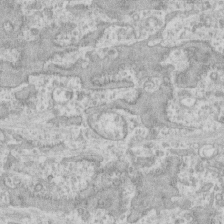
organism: Human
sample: CRL-1474